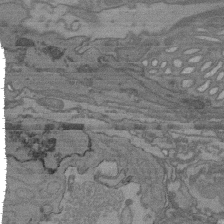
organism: C. elegans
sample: AFD neurons C. elegans